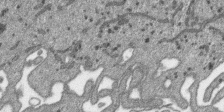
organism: Human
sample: Lung epithelial cells infected with SARS-CoV-2